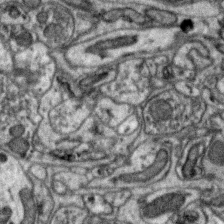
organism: Zebra finch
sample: Brain